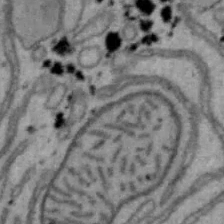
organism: Mouse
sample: Liver